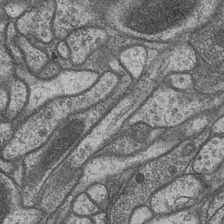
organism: Drosophila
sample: Optic medulla